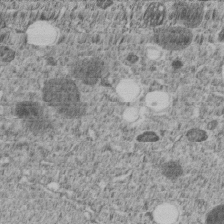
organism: C. elegans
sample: C. elegans embryo early stage